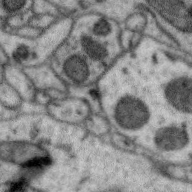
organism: Zebra finch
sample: Brain